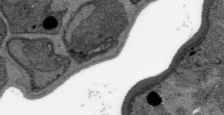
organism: Plasmodium falciparum